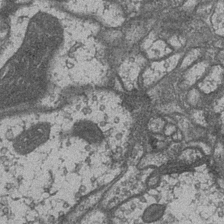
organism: Drosophila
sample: Optic medulla